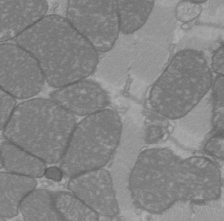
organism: C57BL Mouse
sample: Heart